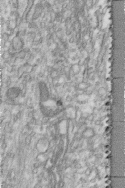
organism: Human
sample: Centriole in fibroblast cells